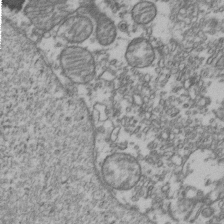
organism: Human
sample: Activated Jurkat CD4+ T cells